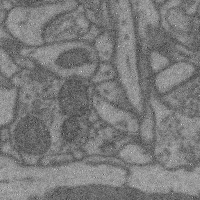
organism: Mouse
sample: Cerebral cortex